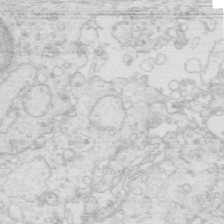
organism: Mouse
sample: Multiciliated cells